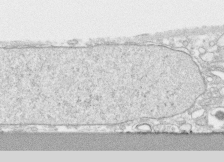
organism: Human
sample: CRL-1474